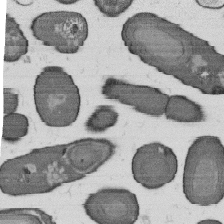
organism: B. subtilis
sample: Bacterial spore